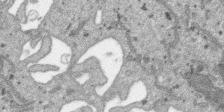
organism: Human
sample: Lung epithelial cells infected with SARS-CoV-2